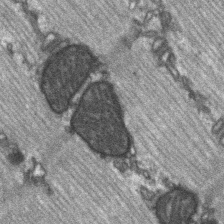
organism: C57BL Mouse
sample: Soleus